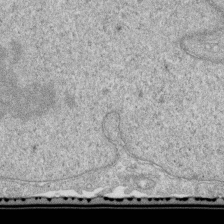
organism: Human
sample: HeLa cell HIV synapse